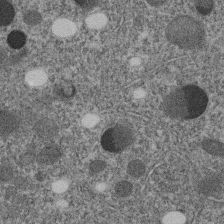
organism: C. elegans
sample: C. elegans embryo early stage